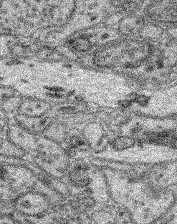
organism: Mouse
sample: Retina